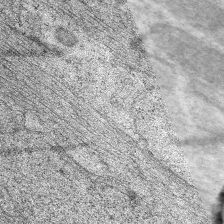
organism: C. elegans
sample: Pharynx